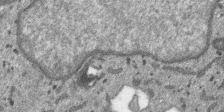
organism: Human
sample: Lung epithelial cells infected with SARS-CoV-2